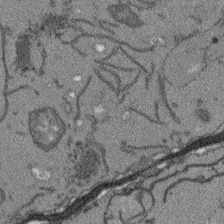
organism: Arabidopsis thaliana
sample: Root tip